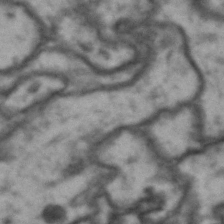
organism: Drosophila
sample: Brain